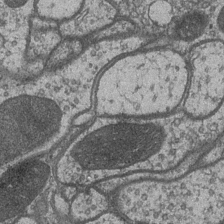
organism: Drosophila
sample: Optic medulla